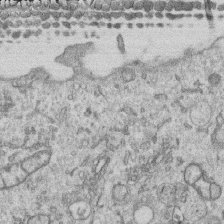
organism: Human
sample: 1205lu cells